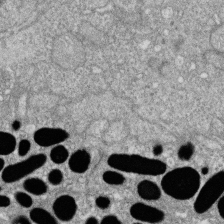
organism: Zebrafish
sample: Cilia; retinal pigment epithelium